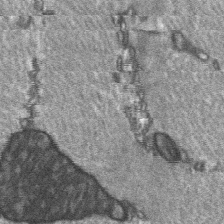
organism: C57BL Mouse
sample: Soleus